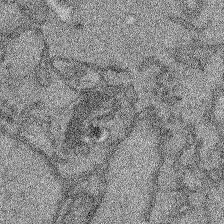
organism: Human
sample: HeLa cells